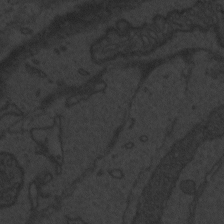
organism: Zebrafish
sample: Macrophage infected with Toxoplasma gondii